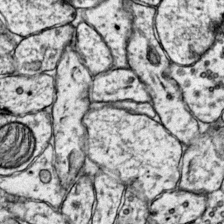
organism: Mouse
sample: Primary visual cortex